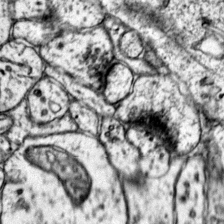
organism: Mouse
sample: Primary visual cortex